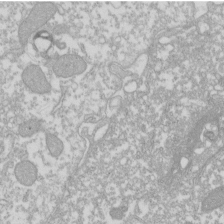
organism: Xenopus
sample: Cilia; centrioles in frog embryo cells